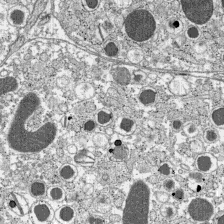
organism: C57BL Mouse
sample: Pancreatic islet